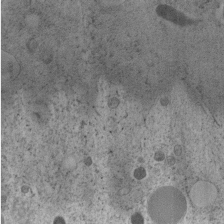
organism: C. elegans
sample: C. elegans embryo early stage